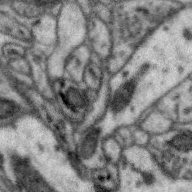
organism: Zebra finch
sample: Brain